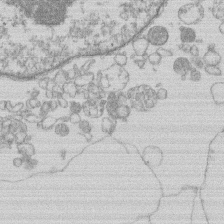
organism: Human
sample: Macrophage cells